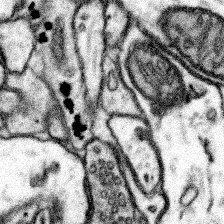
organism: Mouse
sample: Somatosensory cortex neuropil